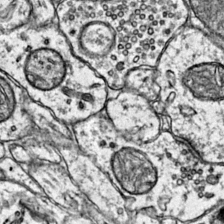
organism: Mouse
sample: Primary visual cortex